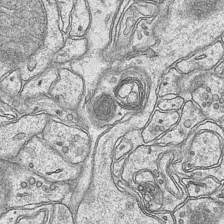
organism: Mouse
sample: CA1 Hippocampus